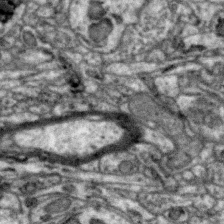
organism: Zebra finch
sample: Brain